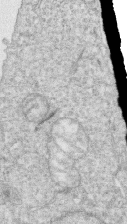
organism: Human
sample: HeLa cell HIV synapse